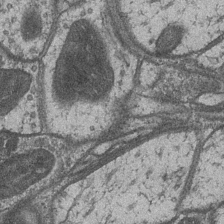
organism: Drosophila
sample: Optic medulla